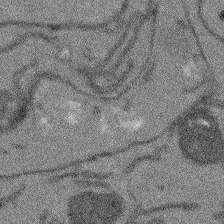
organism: Arabidopsis thaliana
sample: Root tip